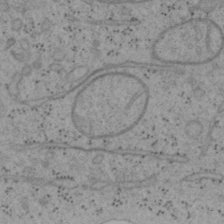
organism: Human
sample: HeLa cells